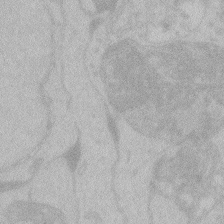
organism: Zebrafish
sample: Macrophage infected with Toxoplasma gondii